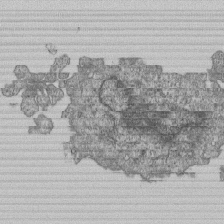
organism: Human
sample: MDA-MB-231 cells